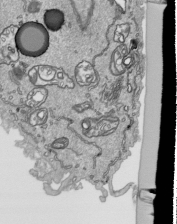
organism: Human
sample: Mitochondria in HCT116 cells